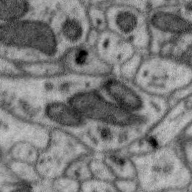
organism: Zebra finch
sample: Brain